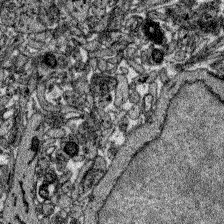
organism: Zebrafish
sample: Larval olfactory bulb